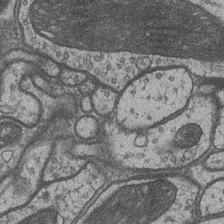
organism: Drosophila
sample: Optic medulla